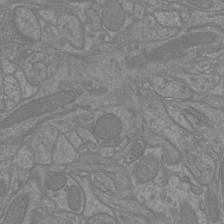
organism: Mouse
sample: Cortical neurons